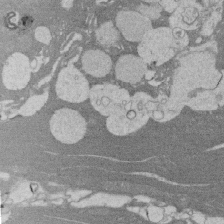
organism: Rat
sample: Salivary granule